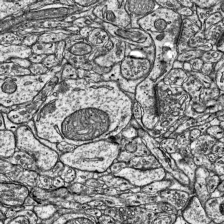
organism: Mouse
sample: Visual Cortex